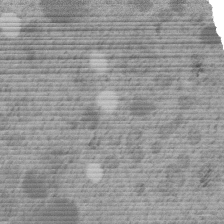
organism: C. elegans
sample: C. elegans embryo early stage